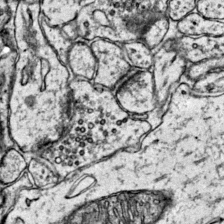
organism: Mouse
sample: Primary visual cortex